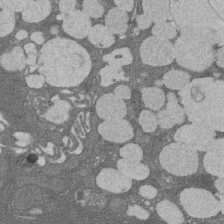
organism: Rat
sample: Salivary granule